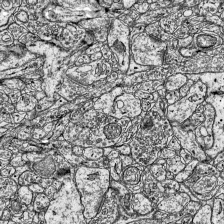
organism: Mouse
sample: Visual Cortex